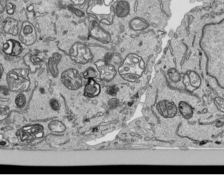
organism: Human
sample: Mitochondria in HCT116 cells